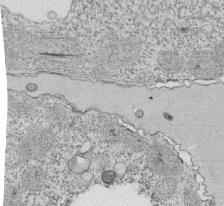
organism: Tetrahymena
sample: Cilia in tetrahymena